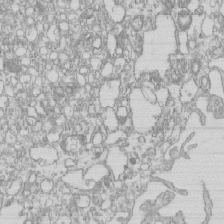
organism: Mouse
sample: Macrophages